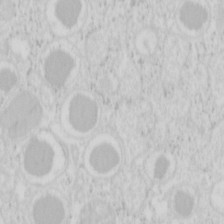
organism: Mouse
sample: Pancreas